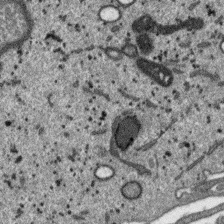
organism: Human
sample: Lung epithelial cells infected with SARS-CoV-2